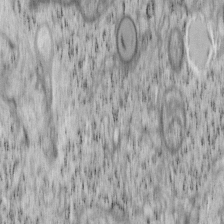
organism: Human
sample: HeLa cells